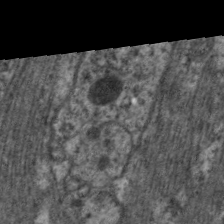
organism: C. elegans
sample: Pharynx